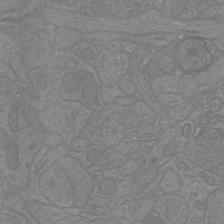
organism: Mouse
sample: Cortical neurons